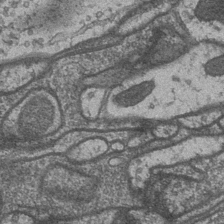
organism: Drosophila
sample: Optic medulla